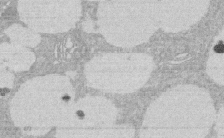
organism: Rat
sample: Salivary granule